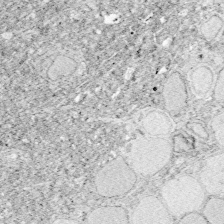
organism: Zebrafish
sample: Whole-Brain